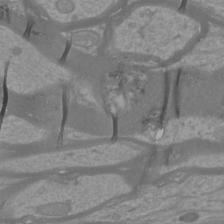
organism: Mouse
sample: Cortical neurons